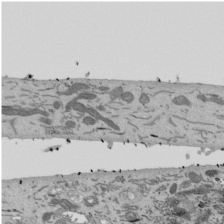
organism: Mouse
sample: ED-1 cell nuclei; centrioles